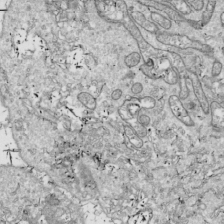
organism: Drosophila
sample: Cell division; meiosis; drosophila spermatocytes